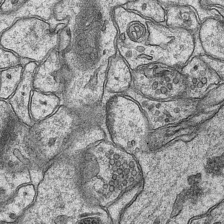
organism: Mouse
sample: CA1 Hippocampus